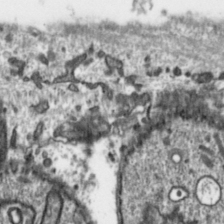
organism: Toxoplasma gondii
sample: Parasites in a vacuole inside a host cell